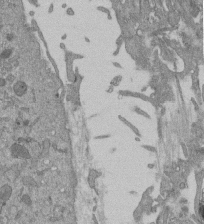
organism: Mouse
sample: ED-1 cell nuclei; centrioles